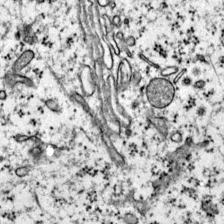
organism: Mouse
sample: Primary visual cortex